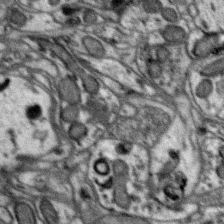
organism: Zebra finch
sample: Brain